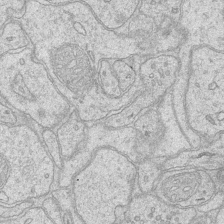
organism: Mouse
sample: CA1 Hippocampus